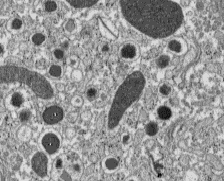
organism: C57BL Mouse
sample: Pancreatic islet